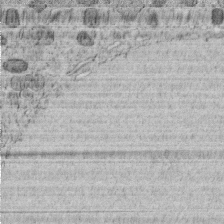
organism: C. elegans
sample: C. elegans embryo early stage